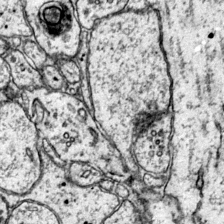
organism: Mouse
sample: Primary visual cortex